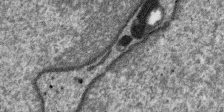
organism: Human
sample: Lung epithelial cells, uninfected (mock) control